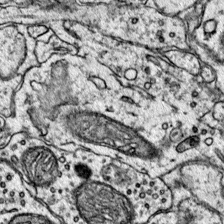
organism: Mouse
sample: Primary visual cortex